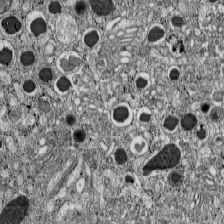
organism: C57BL Mouse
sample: Pancreatic islet